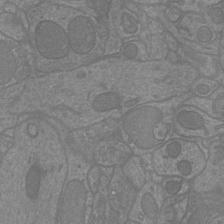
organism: Mouse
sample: Cortical neurons